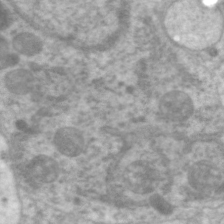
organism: C. elegans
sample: Pharynx